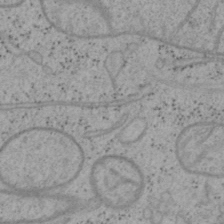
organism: Human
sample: HeLa cells